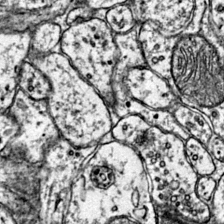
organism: Mouse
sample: Primary visual cortex